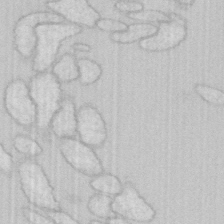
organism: Human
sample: HeLa cells